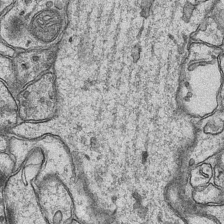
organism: Mouse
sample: CA1 Hippocampus